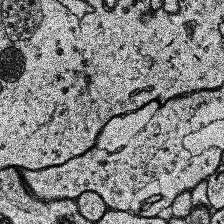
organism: Human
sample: Temporal Lobe